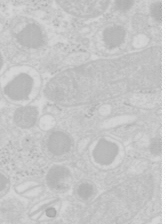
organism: Mouse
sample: Pancreas